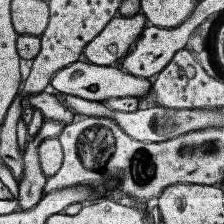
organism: Human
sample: Temporal Lobe